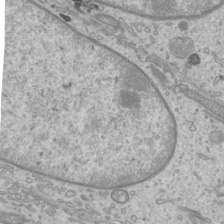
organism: Mouse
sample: Cilia; mouse epididymis